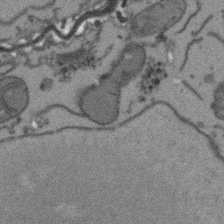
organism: Arabidopsis thaliana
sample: Root tip